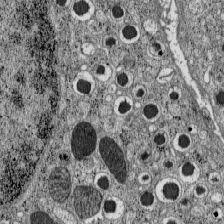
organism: C57BL Mouse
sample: Pancreatic islet